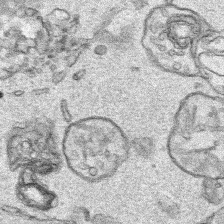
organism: Human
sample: Mitochondria in HCT116 cells